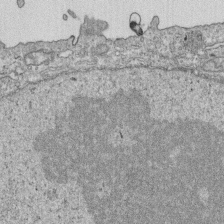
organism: Human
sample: HeLa cell HIV synapse